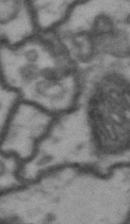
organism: Drosophila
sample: Brain